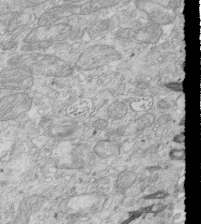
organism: Mouse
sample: Multiciliated cells